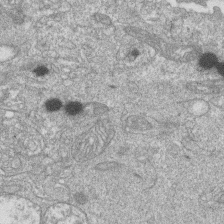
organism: Human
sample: HeLa cell HIV synapse